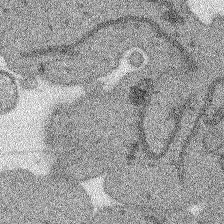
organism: Human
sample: HeLa cells